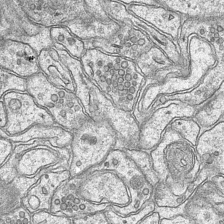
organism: Mouse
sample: CA1 Hippocampus